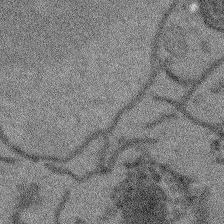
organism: Arabidopsis thaliana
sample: Root tip